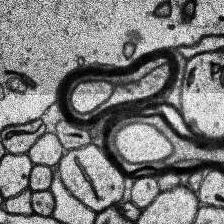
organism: Human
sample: Temporal Lobe